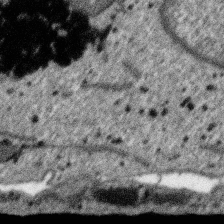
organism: Human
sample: Lung epithelial cells infected with SARS-CoV-2